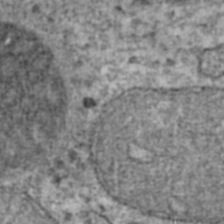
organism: Human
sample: Blood